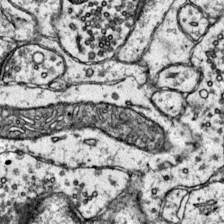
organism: Mouse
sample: Primary visual cortex